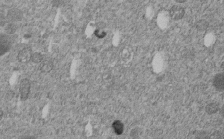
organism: C. elegans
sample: C. elegans embryo early stage